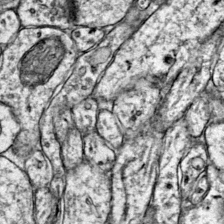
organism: Mouse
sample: Primary visual cortex